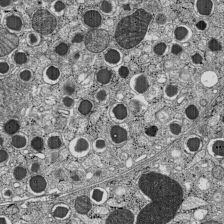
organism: C57BL Mouse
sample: Pancreatic islet